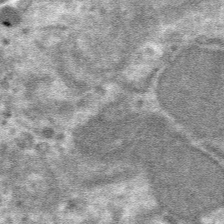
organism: Mouse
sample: Mouse hepatocytes